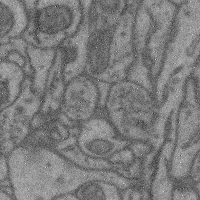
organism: Mouse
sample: Cerebral cortex